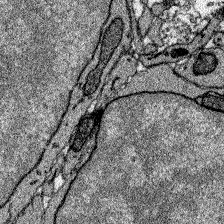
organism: Zebrafish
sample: Larval olfactory bulb